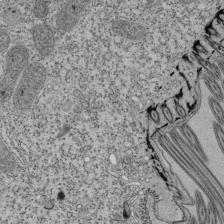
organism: Tetrahymena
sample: Cilia in tetrahymena